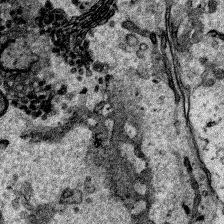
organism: Human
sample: Mitochondria in HCT116 cells